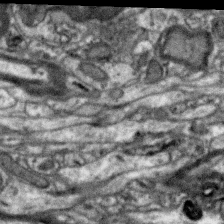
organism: Zebra finch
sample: Brain